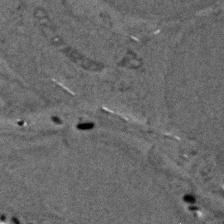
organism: Zebrafish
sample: Zebrafish embryo